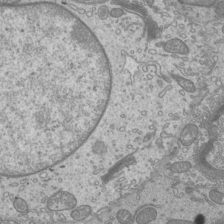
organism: Mouse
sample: Cilia; mouse epididymis